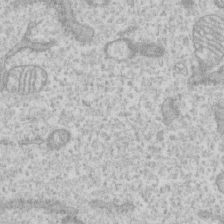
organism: Human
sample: CRL-1474